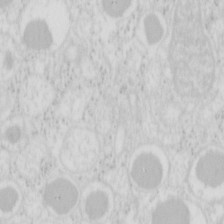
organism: Mouse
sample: Pancreas